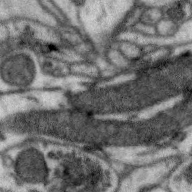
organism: Zebra finch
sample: Brain